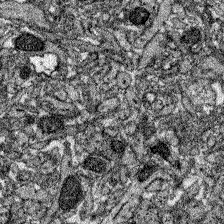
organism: Zebrafish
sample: Larval olfactory bulb